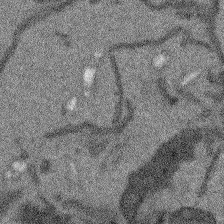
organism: Arabidopsis thaliana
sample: Root tip